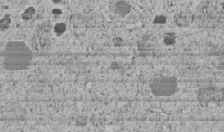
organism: C. elegans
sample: C. elegans embryo early stage